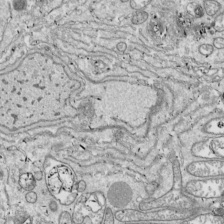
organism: Drosophila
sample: Cell division; meiosis; drosophila spermatocytes